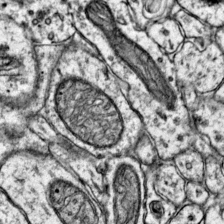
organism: Mouse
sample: Primary visual cortex